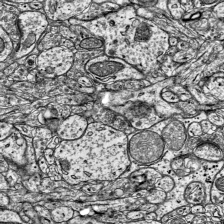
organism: Mouse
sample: Visual Cortex